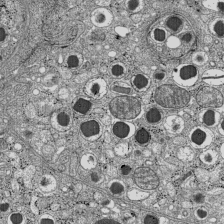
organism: C57BL Mouse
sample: Pancreatic islet